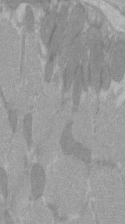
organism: C57BL Mouse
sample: Tibialis anterior muscle cell